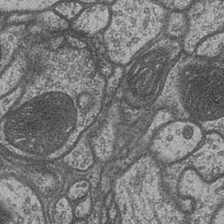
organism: Drosophila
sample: Optic medulla